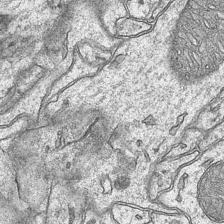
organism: Mouse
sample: CA1 Hippocampus